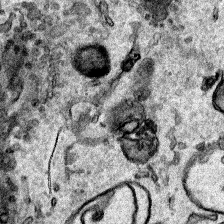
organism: Human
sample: Mitochondria in HCT116 cells